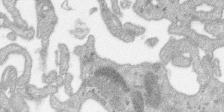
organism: Human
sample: Lung epithelial cells infected with SARS-CoV-2